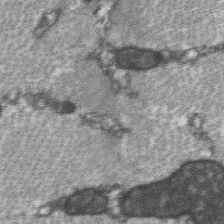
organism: C57BL Mouse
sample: Soleus